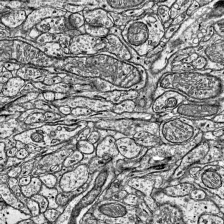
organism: Mouse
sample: Visual Cortex